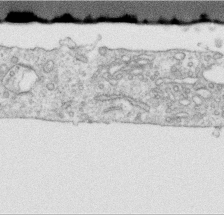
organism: Human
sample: Centriole in RPE cells